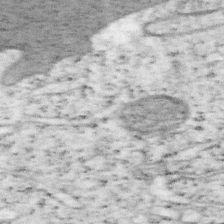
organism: Mouse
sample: OT-I killer T cells with ID8 ovarian cancer cells